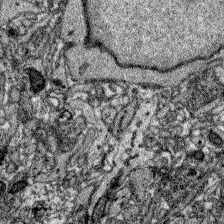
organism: Zebrafish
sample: Larval olfactory bulb